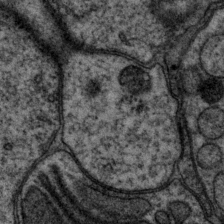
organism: P. pacificus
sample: Pharynx